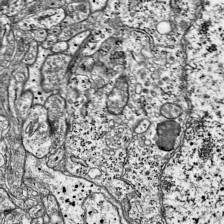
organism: Mouse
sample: Visual Cortex